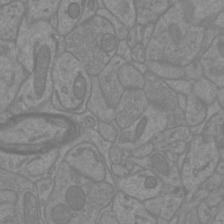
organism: Mouse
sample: Cortical neurons